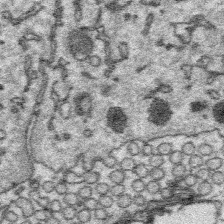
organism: Platynereis dumerilii